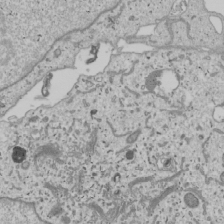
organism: Human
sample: Mitochondria in U2OS cells